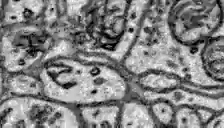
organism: Zebrafish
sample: Brain